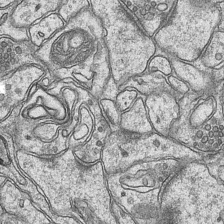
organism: Mouse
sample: CA1 Hippocampus